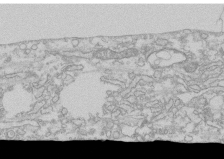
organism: Human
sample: CRL-1474